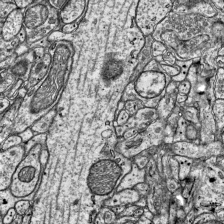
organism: Mouse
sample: Visual Cortex